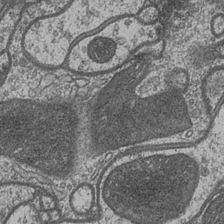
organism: Drosophila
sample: Optic medulla